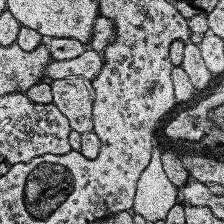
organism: Human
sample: Temporal Lobe